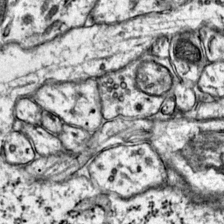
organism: Mouse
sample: Primary visual cortex